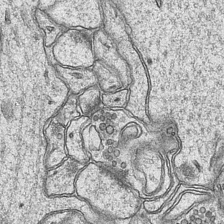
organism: Mouse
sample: CA1 Hippocampus